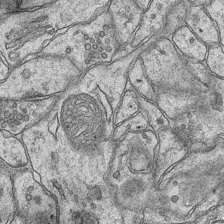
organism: Mouse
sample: CA1 Hippocampus